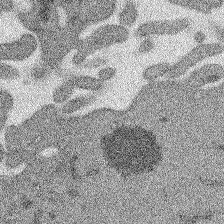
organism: Human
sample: HeLa cells